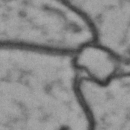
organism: Drosophila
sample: Brain